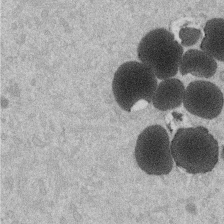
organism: Mouse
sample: Dividing mouse embryo 1 cell stage